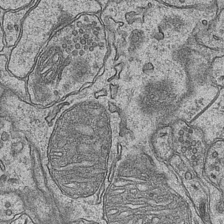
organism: Mouse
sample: CA1 Hippocampus